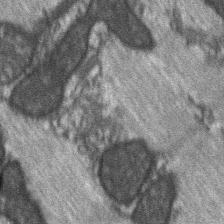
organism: C57BL Mouse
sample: Soleus